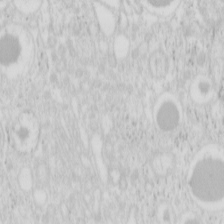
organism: Mouse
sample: Pancreas